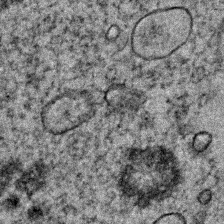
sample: Trachea